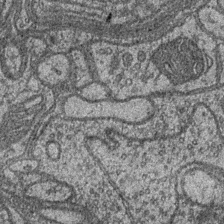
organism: Drosophila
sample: Optic medulla